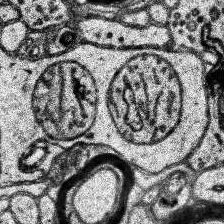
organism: Human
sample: Temporal Lobe